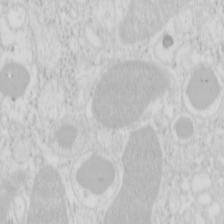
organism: Mouse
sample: Pancreas